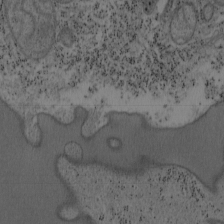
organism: Mouse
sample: OT-I killer T cells with ID8 ovarian cancer cells